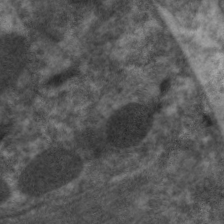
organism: C. elegans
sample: Pharynx